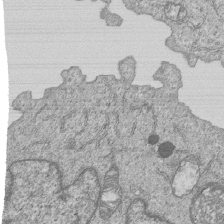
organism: Human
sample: MDA-MB-231 cells